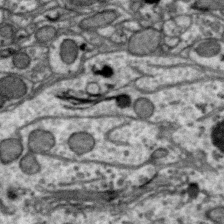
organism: Zebra finch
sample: Brain